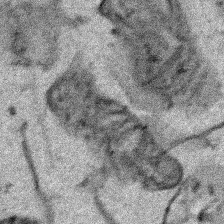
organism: Human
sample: Mitochondria in HCT116 cells